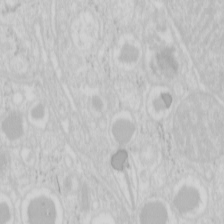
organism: Mouse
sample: Pancreas